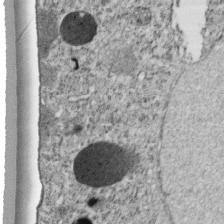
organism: C. elegans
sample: C. elegans embryo early stage